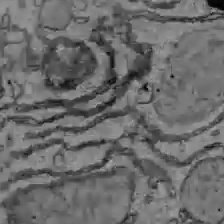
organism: C57BL Mouse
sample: Liver